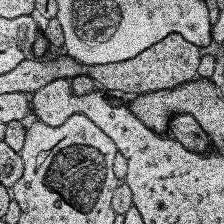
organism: Human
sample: Temporal Lobe